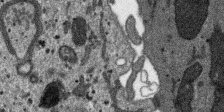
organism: Human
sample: Lung epithelial cells infected with SARS-CoV-2